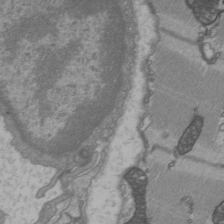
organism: C57BL Mouse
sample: Heart